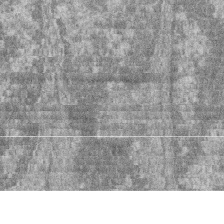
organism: Zebrafish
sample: Cilia; retinal pigment epithelium